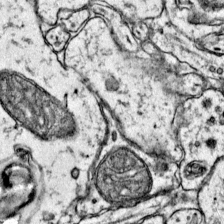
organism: Mouse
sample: Primary visual cortex